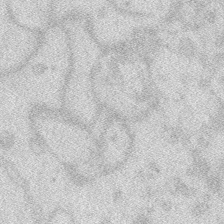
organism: Zebrafish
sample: Macrophage